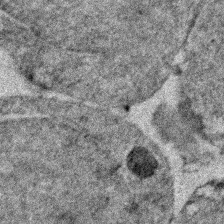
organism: Zebrafish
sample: Zebrafish embryo